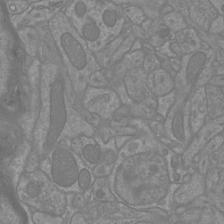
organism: Mouse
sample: Cortical neurons